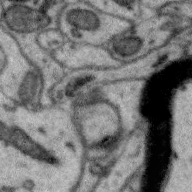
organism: Zebra finch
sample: Brain